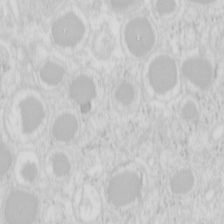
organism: Mouse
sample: Pancreas